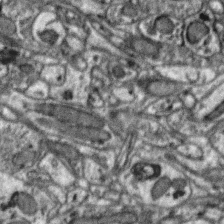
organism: Zebra finch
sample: Brain